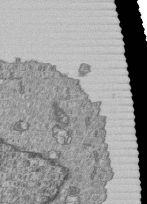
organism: Human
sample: MDA-MB-231 cells